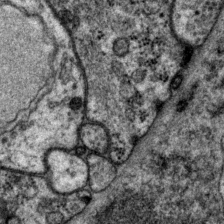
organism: P. pacificus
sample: Pharynx